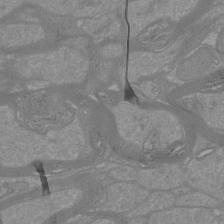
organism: Mouse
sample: Cortical neurons